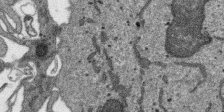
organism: Human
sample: Lung epithelial cells infected with SARS-CoV-2